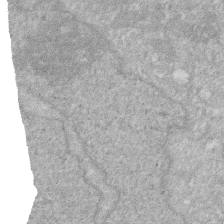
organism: Human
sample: HIV infected U937 cells